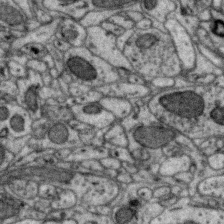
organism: Zebra finch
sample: Brain